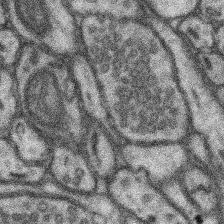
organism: Mouse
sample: Somatosensory cortex neuropil